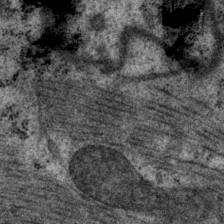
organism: P. pacificus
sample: Pharynx